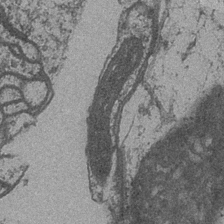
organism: Drosophila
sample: Optic medulla